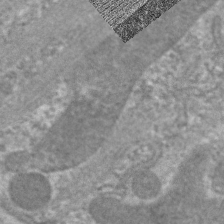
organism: C. elegans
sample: Pharynx